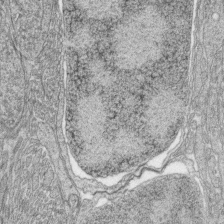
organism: Zebrafish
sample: synaptic ribbons in rod cells and cone cells